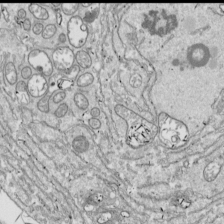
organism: Drosophila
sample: Cell division; meiosis; drosophila spermatocytes